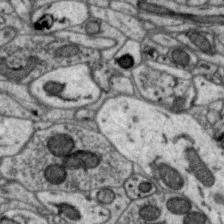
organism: Zebra finch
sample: Brain